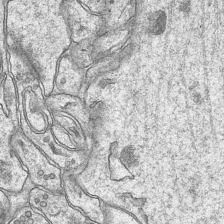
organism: Mouse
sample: CA1 Hippocampus